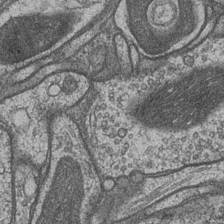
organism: Drosophila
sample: Optic medulla